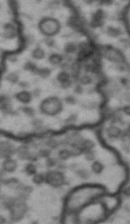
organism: Drosophila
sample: Brain